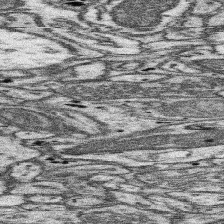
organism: Mouse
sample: Somatosensory cortex neuropil